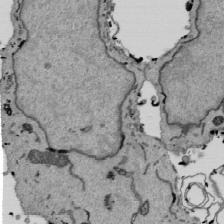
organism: Mouse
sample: ED-1 cell nuclei; centrioles